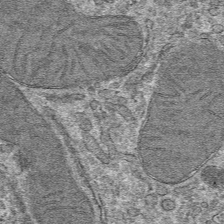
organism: Mouse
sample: Mouse hepatocytes